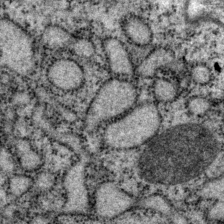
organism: P. pacificus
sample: Pharynx